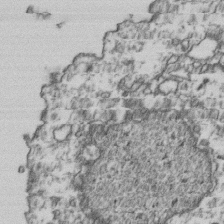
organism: Human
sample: Activated Jurkat CD4+ T cells